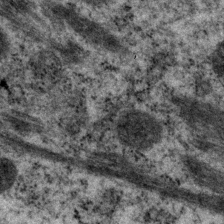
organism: P. pacificus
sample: Pharynx